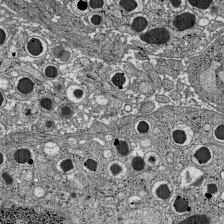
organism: C57BL Mouse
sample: Pancreatic islet